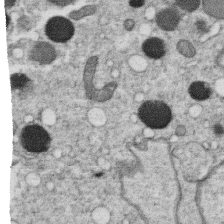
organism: C. elegans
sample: C. elegans oocyte; sperm cells